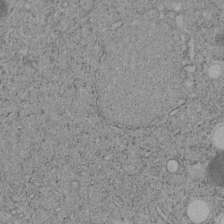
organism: C. elegans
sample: C. elegans embryo early stage